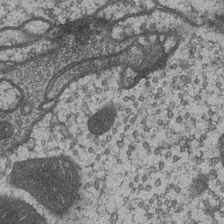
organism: Drosophila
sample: Optic medulla